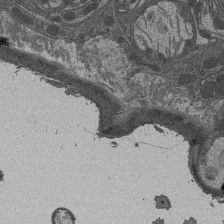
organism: Drosophila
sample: Antenna